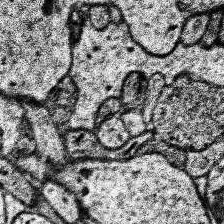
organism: Human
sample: Temporal Lobe